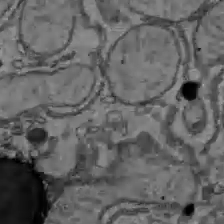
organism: C57BL Mouse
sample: Liver